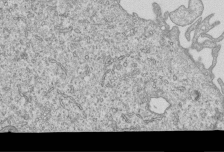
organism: Human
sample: MDA-MB-231 cells